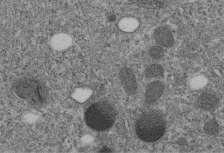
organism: C. elegans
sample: C. elegans embryo early stage